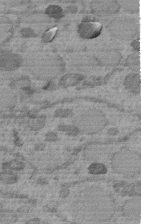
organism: C. elegans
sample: C. elegans embryo early stage